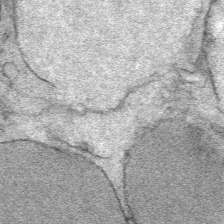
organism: Mouse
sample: Mouse Salivary gland